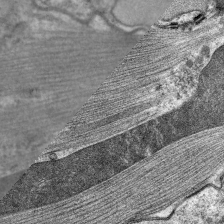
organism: C. elegans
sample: Pharynx